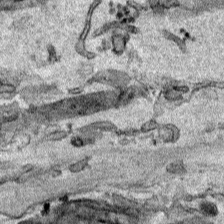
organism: Human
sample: Mitochondria in HCT116 cells